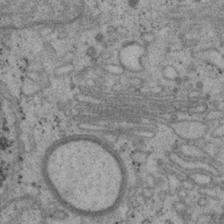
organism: Human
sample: HeLa cells